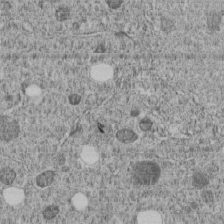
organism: C. elegans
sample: C. elegans embryo early stage